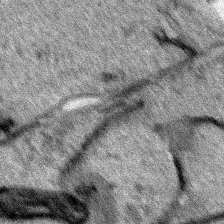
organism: Human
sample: Mitochondria in HCT116 cells